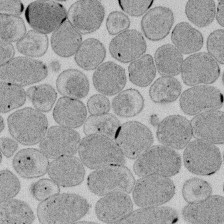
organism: E. coli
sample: Bacterial nucleoid